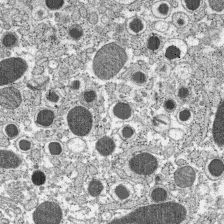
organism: C57BL Mouse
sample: Pancreatic islet